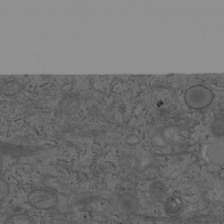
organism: Human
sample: HeLa cells